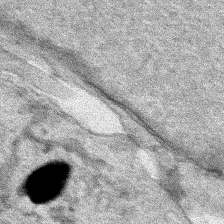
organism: Human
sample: Mitochondria in HCT116 cells